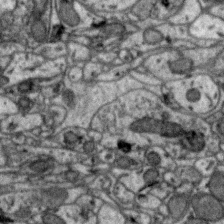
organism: Zebra finch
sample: Brain